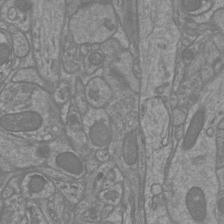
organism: Mouse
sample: Cortical neurons